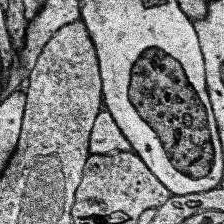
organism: Human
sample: Temporal Lobe